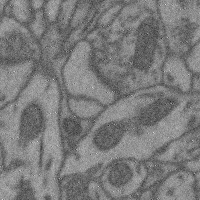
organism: Mouse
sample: Cerebral cortex